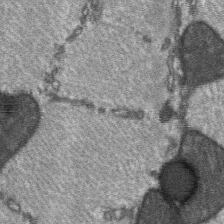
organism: C57BL Mouse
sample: Soleus